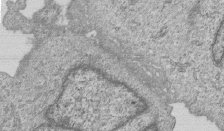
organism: Human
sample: MDA-MB-231 cells